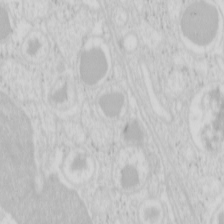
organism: Mouse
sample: Pancreas